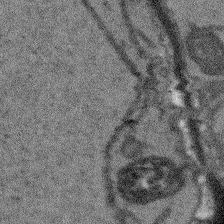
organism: Arabidopsis thaliana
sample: Root tip